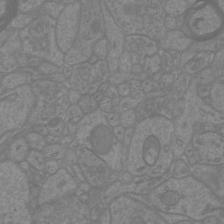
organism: Mouse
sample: Cortical neurons